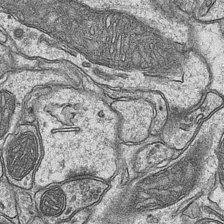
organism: Mouse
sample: CA1 Hippocampus